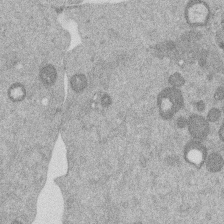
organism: Mouse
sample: Dividing mouse embryo 1 cell stage